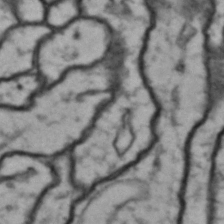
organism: Drosophila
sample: Brain